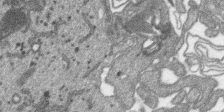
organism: Human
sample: Lung epithelial cells infected with SARS-CoV-2